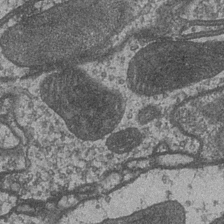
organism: Drosophila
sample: Optic medulla